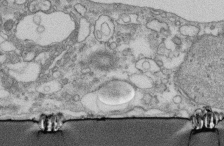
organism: Human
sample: Centriole in fibroblast cells